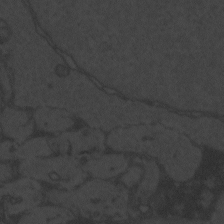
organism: Zebrafish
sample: Macrophage infected with Toxoplasma gondii